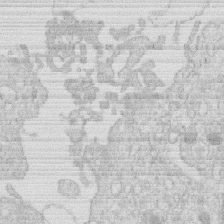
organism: Human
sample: Macrophage cells